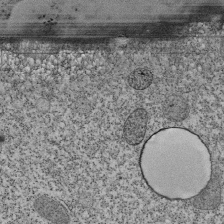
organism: Tetrahymena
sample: Cilia in tetrahymena